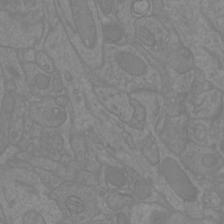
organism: Mouse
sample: Cortical neurons